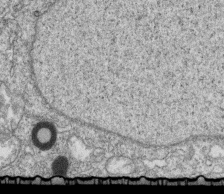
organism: Human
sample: HeLa cell HIV synapse